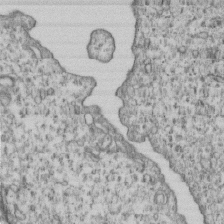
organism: Human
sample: MDA-MB-231 cells